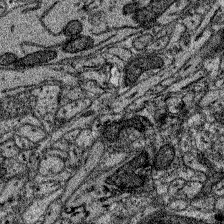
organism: Zebrafish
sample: Larval olfactory bulb